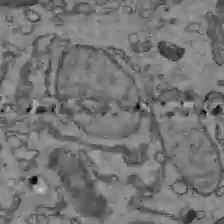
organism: C57BL Mouse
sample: Liver